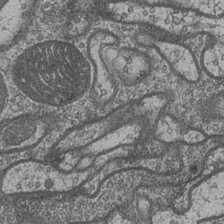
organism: Drosophila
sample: Optic medulla